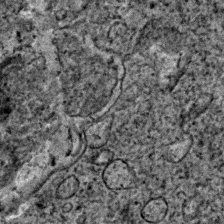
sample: Trachea